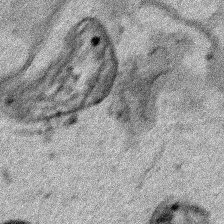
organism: Human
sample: Mitochondria in HCT116 cells